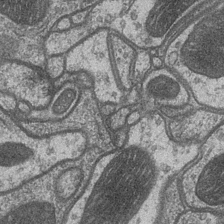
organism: Drosophila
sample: Optic medulla